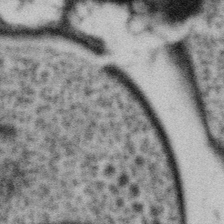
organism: Gemmata obscuriglobus